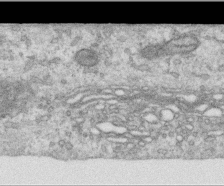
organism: Human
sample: Centriole in RPE cells